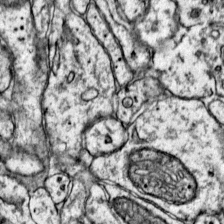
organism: Mouse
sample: Primary visual cortex